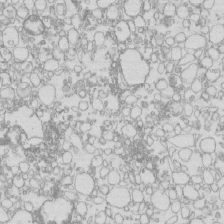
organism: Mouse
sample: Macrophages